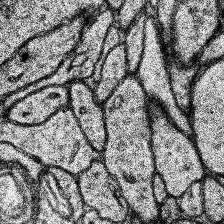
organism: Human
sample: Temporal Lobe